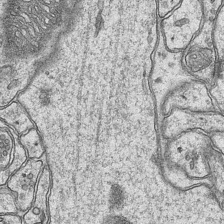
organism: Mouse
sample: CA1 Hippocampus